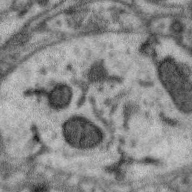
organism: Zebra finch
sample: Brain